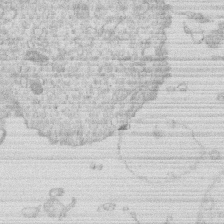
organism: Human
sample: Macrophage cells